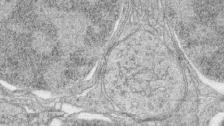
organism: Zebrafish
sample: synaptic ribbons in rod cells and cone cells